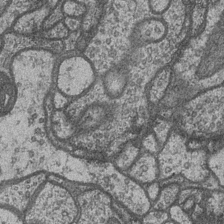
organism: Drosophila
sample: Optic medulla